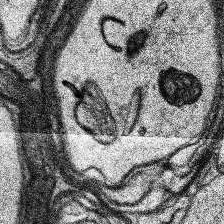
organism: Human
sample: Temporal Lobe